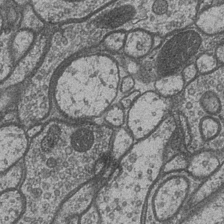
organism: Drosophila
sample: Optic medulla